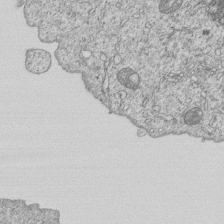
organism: Human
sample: MDA-MB-231 cells